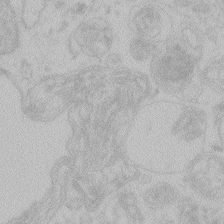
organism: Zebrafish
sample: Macrophage infected with Toxoplasma gondii